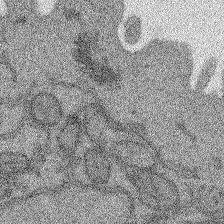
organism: Human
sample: HeLa cells